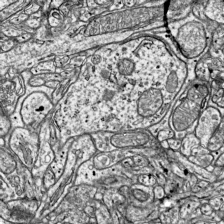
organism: Mouse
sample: Visual Cortex